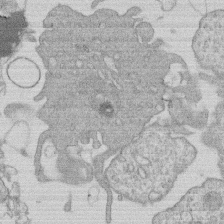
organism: Human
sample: Macrophage cells